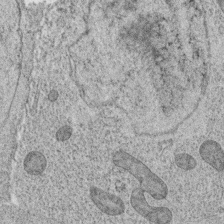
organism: C. elegans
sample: C. elegans oocyte; sperm cells